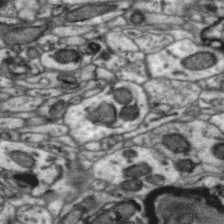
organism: Zebra finch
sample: Brain